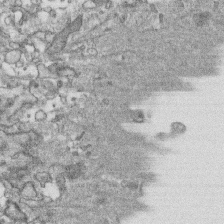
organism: Human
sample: CRL-1474